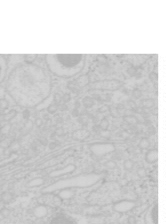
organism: Mouse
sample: Pancreas